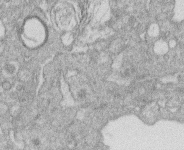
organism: Human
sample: Macrophage cells